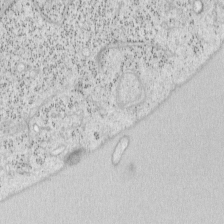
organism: Mouse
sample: OT-I killer T cells with ID8 ovarian cancer cells